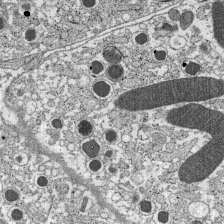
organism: C57BL Mouse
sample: Pancreatic islet